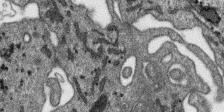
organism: Human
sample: Lung epithelial cells infected with SARS-CoV-2